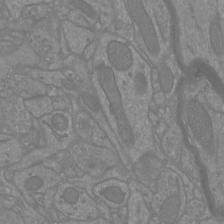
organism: Mouse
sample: Cortical neurons